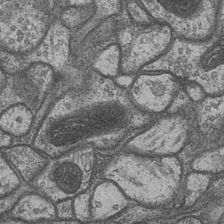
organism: Drosophila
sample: Optic medulla